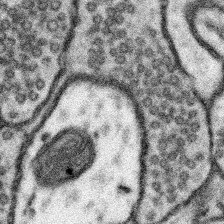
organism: Mouse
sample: Somatosensory cortex neuropil